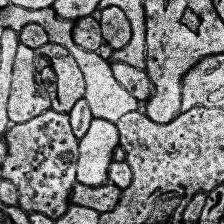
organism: Human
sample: Temporal Lobe